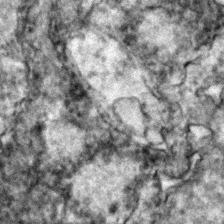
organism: Zebrafish